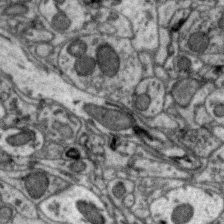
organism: Zebra finch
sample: Brain